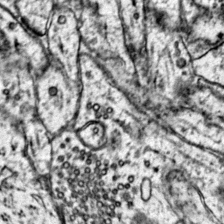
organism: Mouse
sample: Primary visual cortex